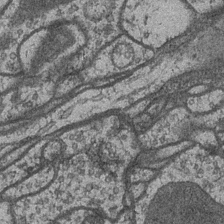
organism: Drosophila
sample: Optic medulla